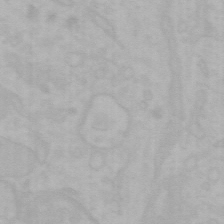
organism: Mouse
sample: Choroid plexus